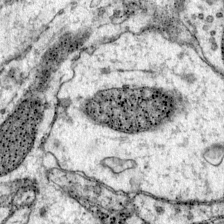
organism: Mouse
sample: Primary visual cortex